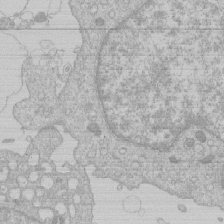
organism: Human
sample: Macrophage cells